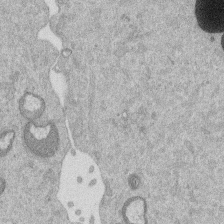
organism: Mouse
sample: Dividing mouse embryo 1 cell stage